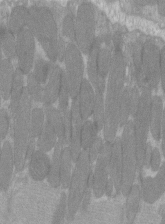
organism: C57BL Mouse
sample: Tibialis anterior muscle cell